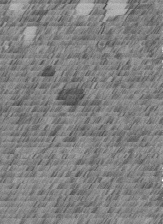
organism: C. elegans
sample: C. elegans embryo early stage